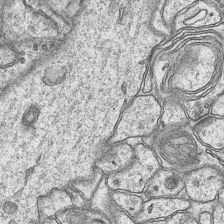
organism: Mouse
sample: CA1 Hippocampus